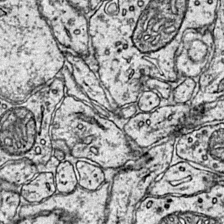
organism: Mouse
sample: Primary visual cortex